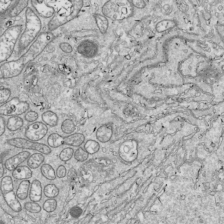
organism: Drosophila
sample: Cell division; meiosis; drosophila spermatocytes